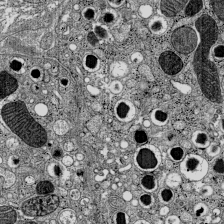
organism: C57BL Mouse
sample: Pancreatic islet